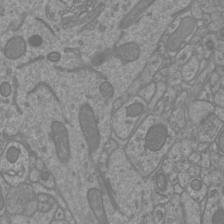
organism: Mouse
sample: Cortical neurons